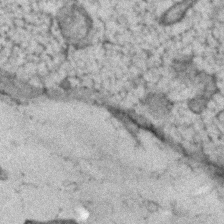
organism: Human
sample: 1205lu cells